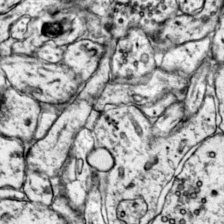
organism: Mouse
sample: Primary visual cortex